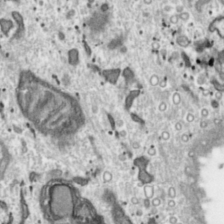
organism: Toxoplasma gondii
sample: Parasites in a vacuole inside a host cell